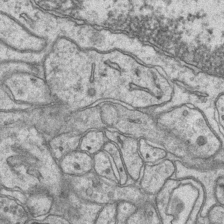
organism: Mouse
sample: CA1 Hippocampus